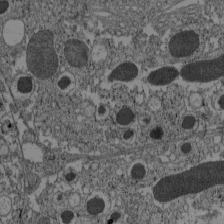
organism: C57BL Mouse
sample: Pancreatic islet